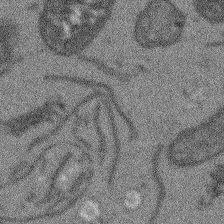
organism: Arabidopsis thaliana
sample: Root tip